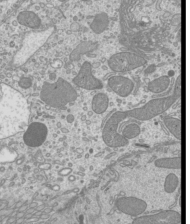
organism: Mouse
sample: Cilia; mouse epididymis